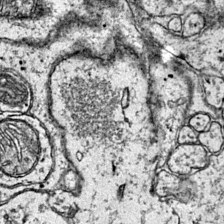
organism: Mouse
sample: Primary visual cortex